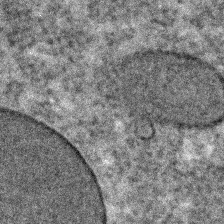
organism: C. elegans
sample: C. elegans embryo